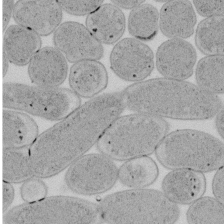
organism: E. coli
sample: Bacterial nucleoid